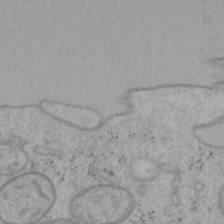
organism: Human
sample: HeLa cells